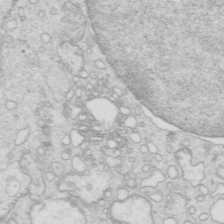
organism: Mouse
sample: Multiciliated cells